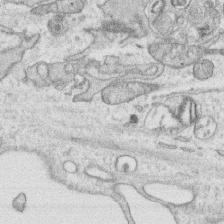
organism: Human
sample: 1205lu cells